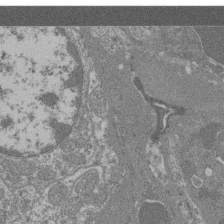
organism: Mouse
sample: Glomerulus